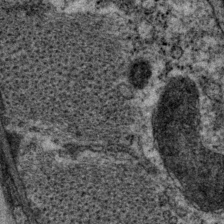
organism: P. pacificus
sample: Pharynx